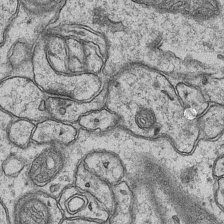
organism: Mouse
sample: CA1 Hippocampus